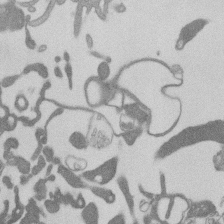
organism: Mouse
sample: Dividing mouse embryo 1 cell stage